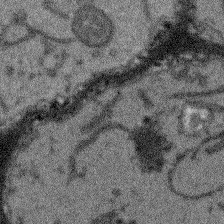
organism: Arabidopsis thaliana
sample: Root tip